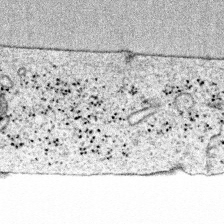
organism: Human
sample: HeLa cells